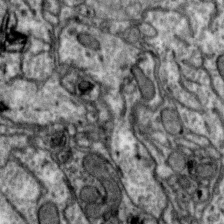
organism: Zebra finch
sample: Brain